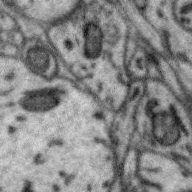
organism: Zebra finch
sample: Brain